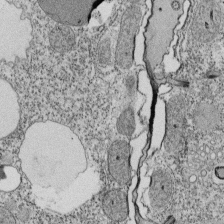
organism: Tetrahymena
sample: Cilia in tetrahymena